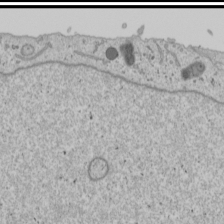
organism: Human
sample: Mitochondria in U2OS cells